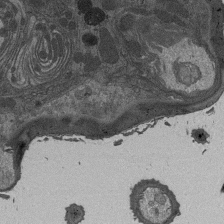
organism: Drosophila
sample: Antenna